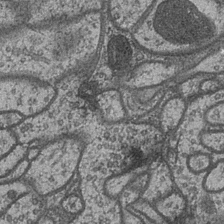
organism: Drosophila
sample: Optic medulla